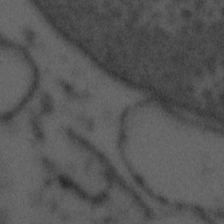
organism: Tuwongella immobilis